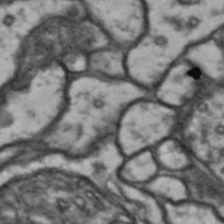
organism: Drosophila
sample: Brain